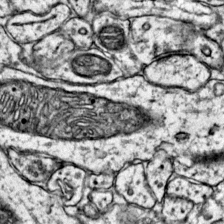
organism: Mouse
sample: Primary visual cortex